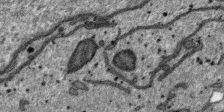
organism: Human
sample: Lung epithelial cells, uninfected (mock) control